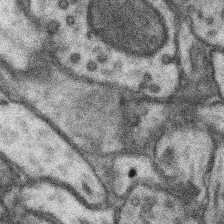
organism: Mouse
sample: Somatosensory cortex neuropil